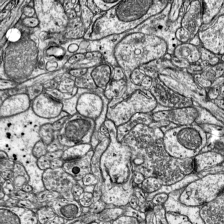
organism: Mouse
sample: Visual Cortex